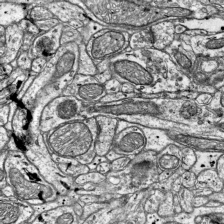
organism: Mouse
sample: Visual Cortex